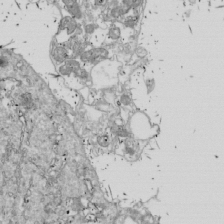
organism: Drosophila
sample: Cell division; meiosis; drosophila spermatocytes